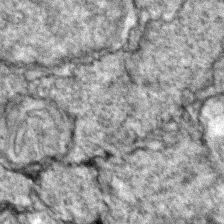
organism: Zebrafish